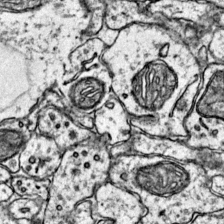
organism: Mouse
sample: Primary visual cortex